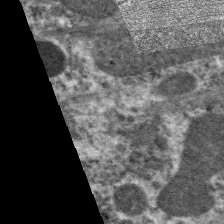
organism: C. elegans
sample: Pharynx